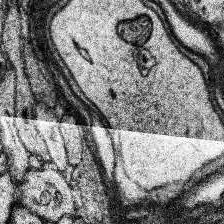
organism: Human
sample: Temporal Lobe